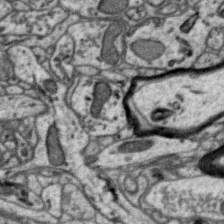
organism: Zebra finch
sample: Brain